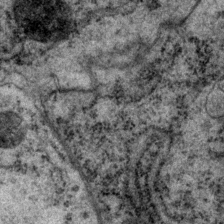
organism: P. pacificus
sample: Pharynx